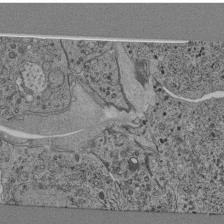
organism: C. elegans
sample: C. elegans pharynx